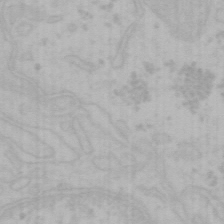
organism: Mouse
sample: Choroid plexus